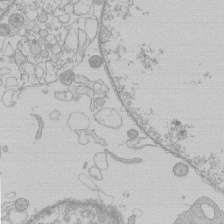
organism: Human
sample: Macrophage cells